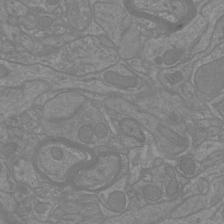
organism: Mouse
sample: Cortical neurons